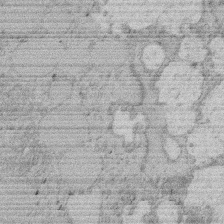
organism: Rat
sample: Salivary granule